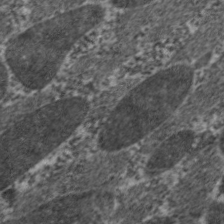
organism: C. elegans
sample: Pharynx